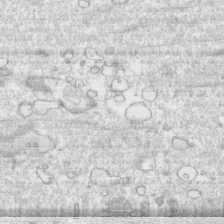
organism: Human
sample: CRL-1474